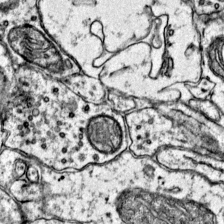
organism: Mouse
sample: Primary visual cortex